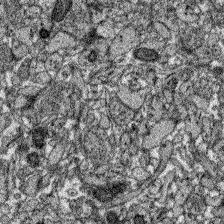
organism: Zebrafish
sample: Larval olfactory bulb